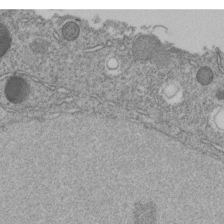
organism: C. elegans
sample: C. elegans embryo early stage